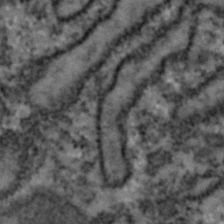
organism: Zebrafish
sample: Zebrafish embryo